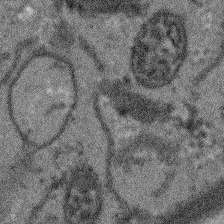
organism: Arabidopsis thaliana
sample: Root tip